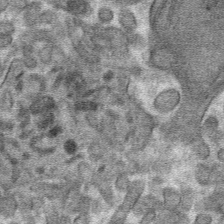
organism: Mouse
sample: Mouse hepatocytes